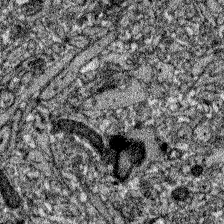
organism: Zebrafish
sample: Larval olfactory bulb